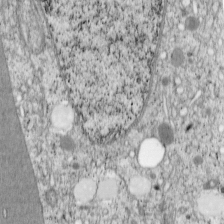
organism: African green monkey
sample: COS-7 cells